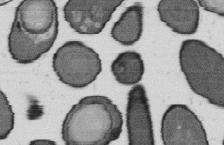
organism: B. subtilis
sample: Bacterial spore